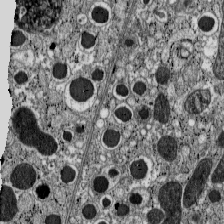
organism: C57BL Mouse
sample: Pancreatic islet